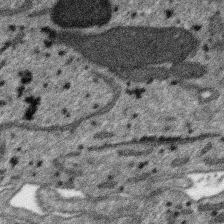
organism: Human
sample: Lung epithelial cells infected with SARS-CoV-2